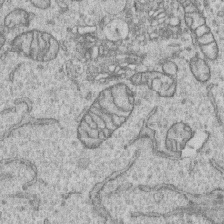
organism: Human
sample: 1205lu cells